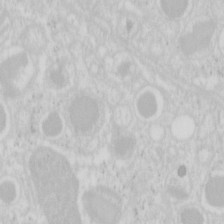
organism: Mouse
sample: Pancreas